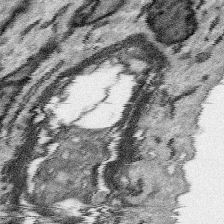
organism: Human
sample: HeLa cells